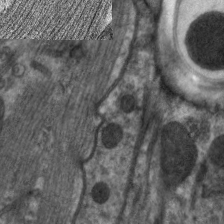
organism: C. elegans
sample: Pharynx